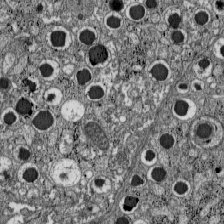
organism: C57BL Mouse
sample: Pancreatic islet